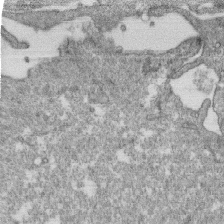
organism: African green monkey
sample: Vero E6 cells infected with SARS-CoV-2